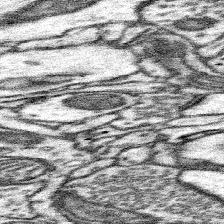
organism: Mouse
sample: Somatosensory cortex neuropil